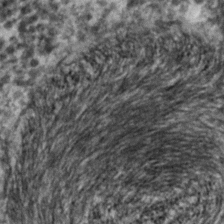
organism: C. elegans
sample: C. elegans embryo